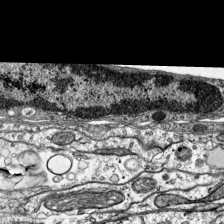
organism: Mouse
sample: Visual Cortex